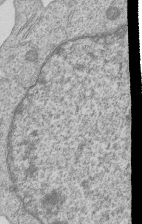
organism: Human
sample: MDA-MB-231 cells